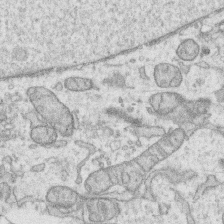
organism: Human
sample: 1205lu cells